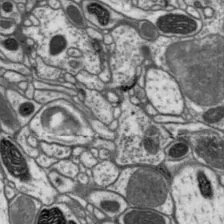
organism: Drosophila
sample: Protocerebral bridge